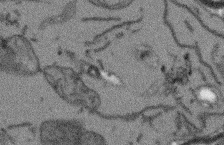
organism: Arabidopsis thaliana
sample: Root tip